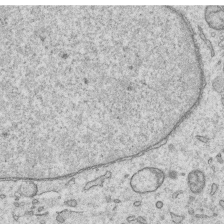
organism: Human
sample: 1205lu cells